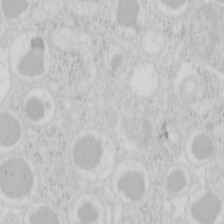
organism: Mouse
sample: Pancreas